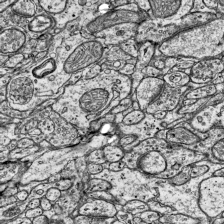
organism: Mouse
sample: Visual Cortex